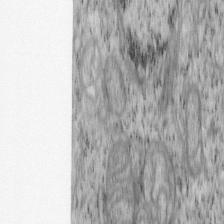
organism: Human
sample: HeLa cells